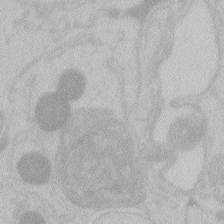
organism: Zebrafish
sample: Macrophage infected with Toxoplasma gondii